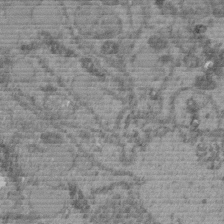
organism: C. elegans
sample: C. elegans embryo early stage